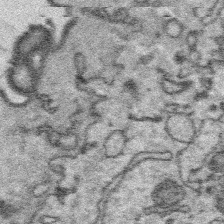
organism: Platynereis dumerilii